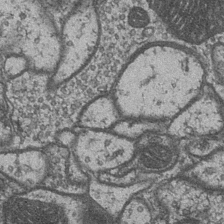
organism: Drosophila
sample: Optic medulla